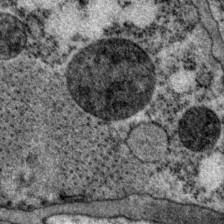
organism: P. pacificus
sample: Pharynx